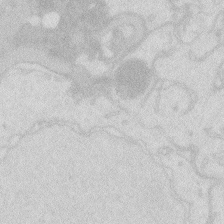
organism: Zebrafish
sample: Macrophage